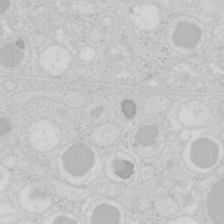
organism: Mouse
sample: Pancreas